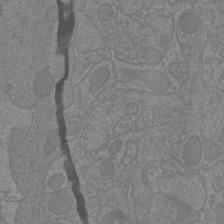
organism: Mouse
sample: Cortical neurons